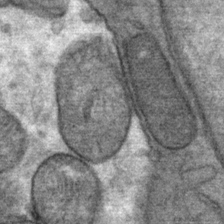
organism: Mouse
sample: Mouse Salivary gland